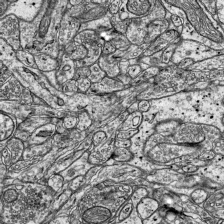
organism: Mouse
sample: Visual Cortex